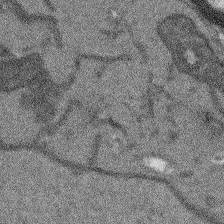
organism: Arabidopsis thaliana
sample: Root tip